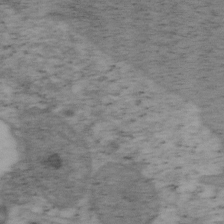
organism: Mouse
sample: OT-I killer T cells with ID8 ovarian cancer cells